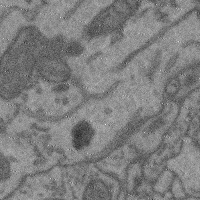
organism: Mouse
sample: Cerebral cortex